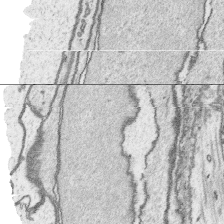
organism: Platynereis dumerilii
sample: Parapodia